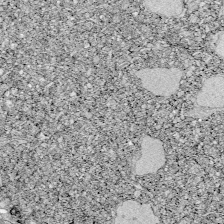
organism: Zebrafish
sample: Whole-Brain